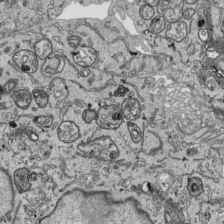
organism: Human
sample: Mitochondria in HCT116 cells